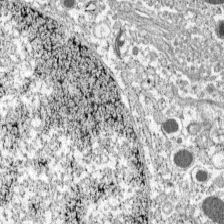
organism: C57BL Mouse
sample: Pancreatic islet